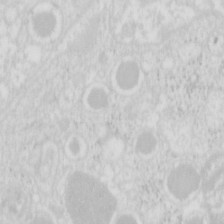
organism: Mouse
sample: Pancreas